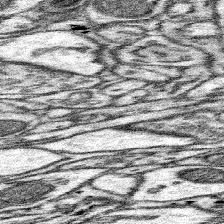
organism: Mouse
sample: Somatosensory cortex neuropil